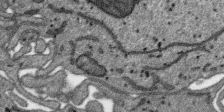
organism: Human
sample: Lung epithelial cells, uninfected (mock) control